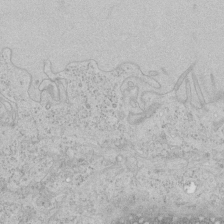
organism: Human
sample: Mitochondria in HCT116 cells